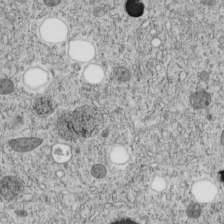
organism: C. elegans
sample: C. elegans embryo early stage